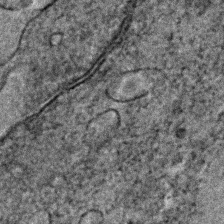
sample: Trachea